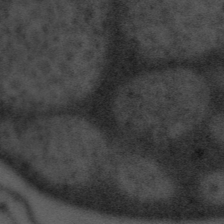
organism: Tuwongella immobilis